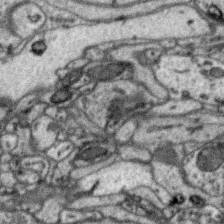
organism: Zebra finch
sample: Brain